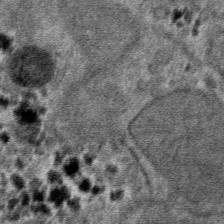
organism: Mouse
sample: Mouse hepatocytes